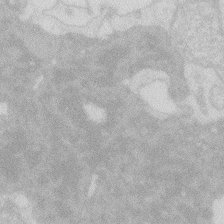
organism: Zebrafish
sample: Macrophage